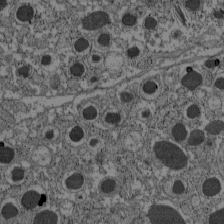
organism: C57BL Mouse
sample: Pancreatic islet